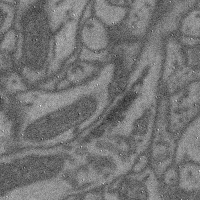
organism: Mouse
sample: Cerebral cortex